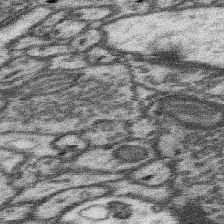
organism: Mouse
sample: Somatosensory cortex neuropil